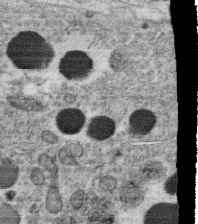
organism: C. elegans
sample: C. elegans oocyte; sperm cells